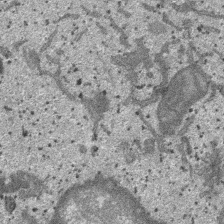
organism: Human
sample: Lung epithelial cells infected with SARS-CoV-2